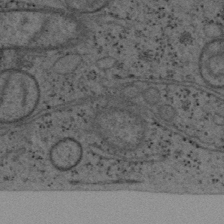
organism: Human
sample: HeLa cells